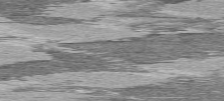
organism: C57BL Mouse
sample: Heart